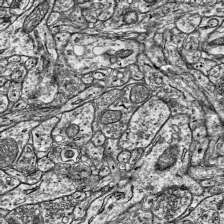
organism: Mouse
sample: Visual Cortex